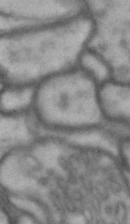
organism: Drosophila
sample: Brain